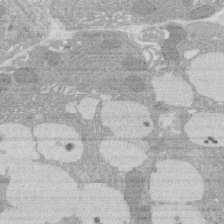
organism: Rat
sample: Salivary granule